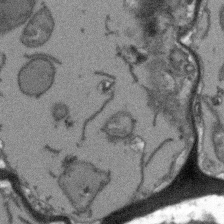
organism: Arabidopsis thaliana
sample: Root tip